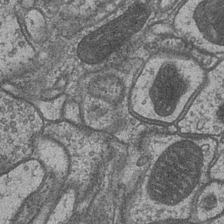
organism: Drosophila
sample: Optic medulla